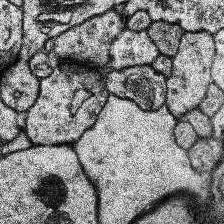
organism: Human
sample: Temporal Lobe